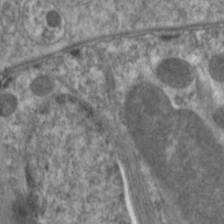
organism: C. elegans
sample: Pharynx